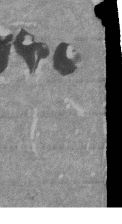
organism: Mouse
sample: ED-1 cell nuclei; centrioles